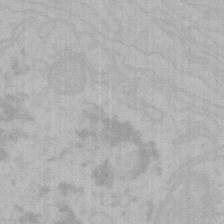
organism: Mouse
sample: Choroid plexus